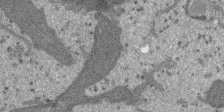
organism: Human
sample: Lung epithelial cells infected with SARS-CoV-2